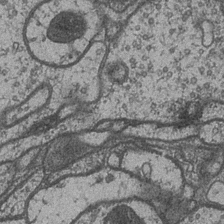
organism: Drosophila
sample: Optic medulla